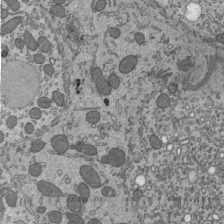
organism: Mouse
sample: Mouse epididymis efferent ductule cilia